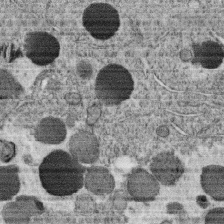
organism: C. elegans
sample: C. elegans oocyte; sperm cells